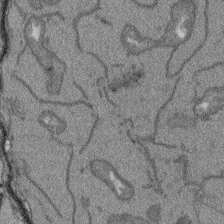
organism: Arabidopsis thaliana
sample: Root tip